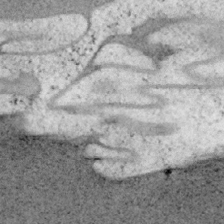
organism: Mouse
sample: OT-I killer T cells with ID8 ovarian cancer cells